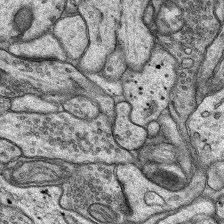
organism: Rat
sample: Hippocampus